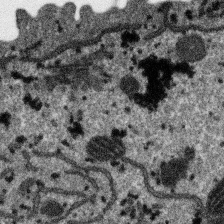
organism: Human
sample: Lung epithelial cells infected with SARS-CoV-2